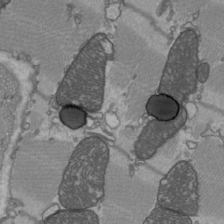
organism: C57BL Mouse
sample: Heart